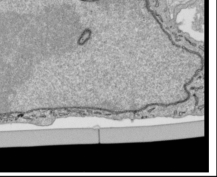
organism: Human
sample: Mitochondria in HCT116 cells